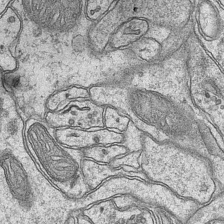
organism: Mouse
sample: CA1 Hippocampus